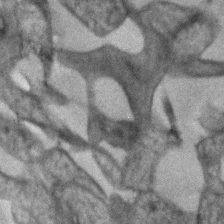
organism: Human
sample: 1205lu cells